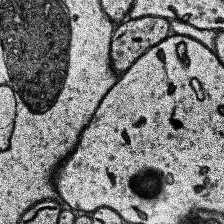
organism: Human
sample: Temporal Lobe